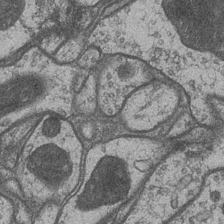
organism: Drosophila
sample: Optic medulla